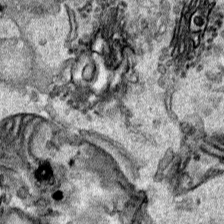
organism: Human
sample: Mitochondria in HCT116 cells